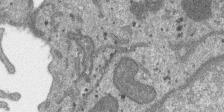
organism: Human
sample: Lung epithelial cells infected with SARS-CoV-2